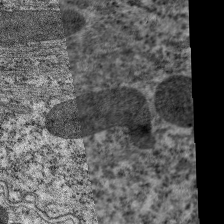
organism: C. elegans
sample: Pharynx